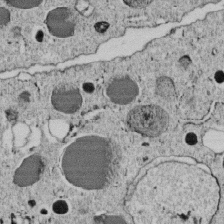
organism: C. elegans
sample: C. elegans embryo early stage